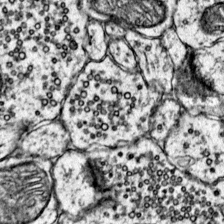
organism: Mouse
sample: Primary visual cortex